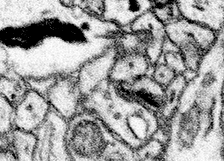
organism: Mouse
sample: Somatosensory cortex neuropil